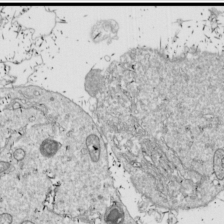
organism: Drosophila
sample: Cell division; meiosis; drosophila spermatocytes